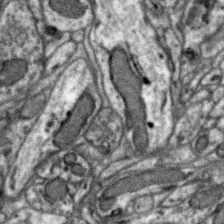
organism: Zebra finch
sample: Brain